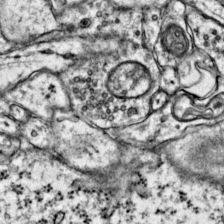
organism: Mouse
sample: Primary visual cortex